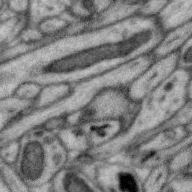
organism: Zebra finch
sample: Brain